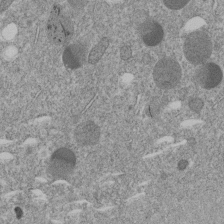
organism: C. elegans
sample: C. elegans embryo early stage